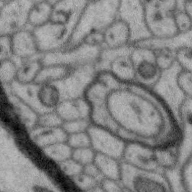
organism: Zebra finch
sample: Brain